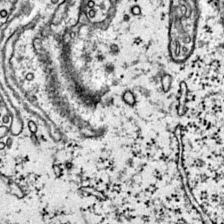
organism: Mouse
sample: Primary visual cortex